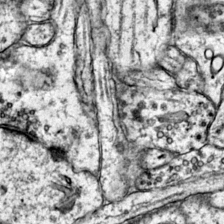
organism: Mouse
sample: Primary visual cortex